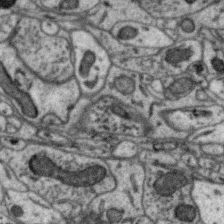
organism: Zebra finch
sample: Brain